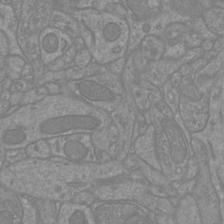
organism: Mouse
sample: Cortical neurons